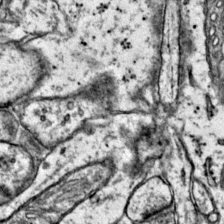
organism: Mouse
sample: Primary visual cortex